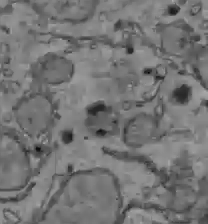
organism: C57BL Mouse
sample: Liver